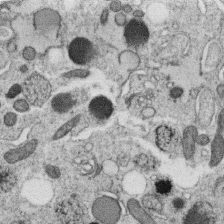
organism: C. elegans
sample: C. elegans oocyte; sperm cells